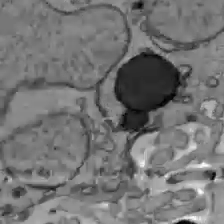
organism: C57BL Mouse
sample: Liver